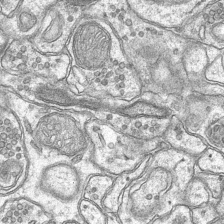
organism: Mouse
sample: CA1 Hippocampus